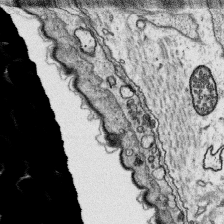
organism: Platynereis dumerilii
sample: Parapodia